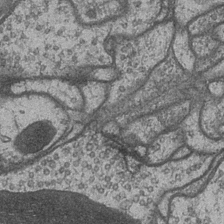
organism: Drosophila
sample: Optic medulla